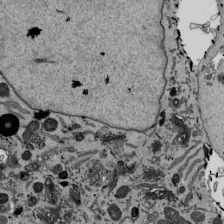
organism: Mouse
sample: ED-1 cell nuclei; centrioles